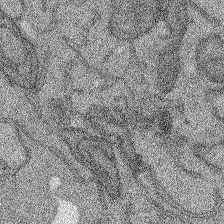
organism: Human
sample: HeLa cells